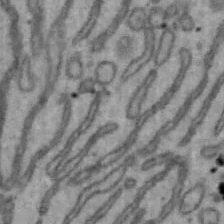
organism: Mouse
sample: Liver